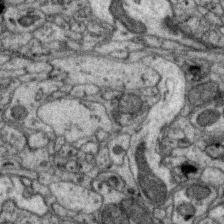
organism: Zebra finch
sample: Brain